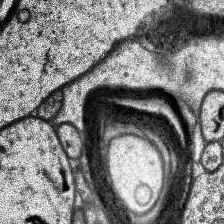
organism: Human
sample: Temporal Lobe